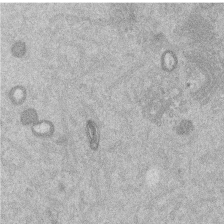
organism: Mouse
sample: Dividing mouse embryo 1 cell stage